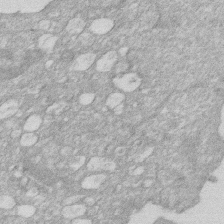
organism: Human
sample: HIV infected U937 cells